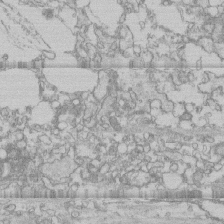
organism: Human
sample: CRL-1474